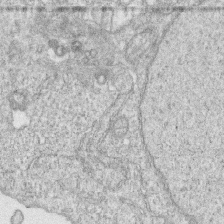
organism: Human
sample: HeLa cell HIV synapse